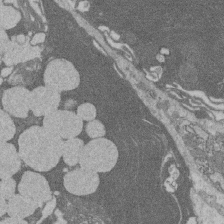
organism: Rat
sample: Salivary granule